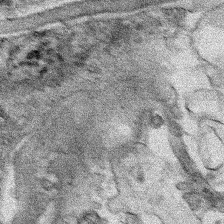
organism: Human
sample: Mitochondria in HCT116 cells